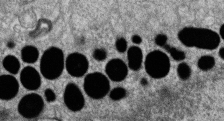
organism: Zebrafish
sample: Cilia; retinal pigment epithelium